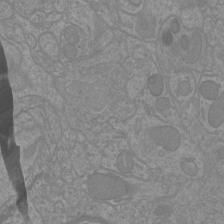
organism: Mouse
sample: Cortical neurons